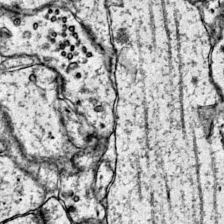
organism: Mouse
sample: Primary visual cortex